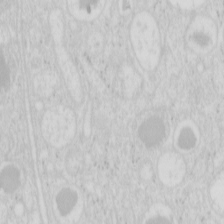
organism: Mouse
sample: Pancreas